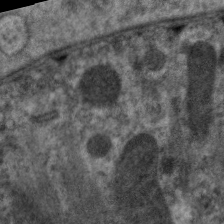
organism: C. elegans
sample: Pharynx